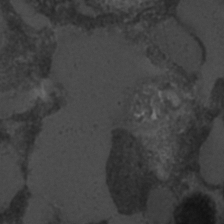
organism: C. elegans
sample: C. elegans embryo